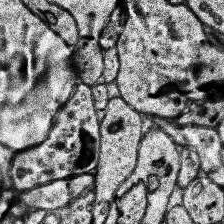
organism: Human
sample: Temporal Lobe